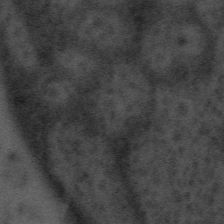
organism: Tuwongella immobilis